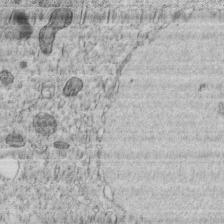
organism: C. elegans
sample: C. elegans embryo early stage